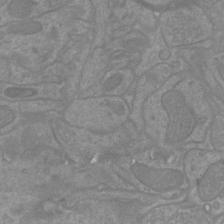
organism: Mouse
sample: Cortical neurons